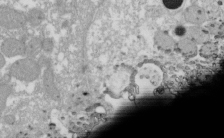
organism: Xenopus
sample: Cilia; centrioles in frog embryo cells